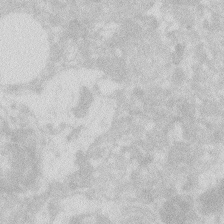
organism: Zebrafish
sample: Macrophage